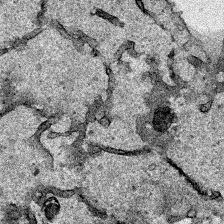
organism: Human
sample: Mitochondria in HCT116 cells